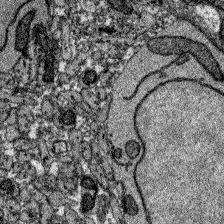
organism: Zebrafish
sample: Larval olfactory bulb